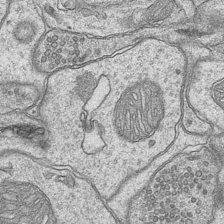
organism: Mouse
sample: CA1 Hippocampus